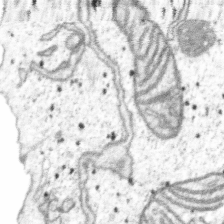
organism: Human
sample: HeLa cells